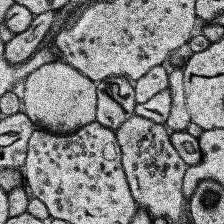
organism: Human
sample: Temporal Lobe